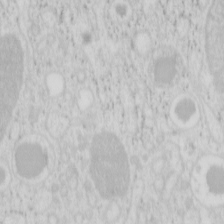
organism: Mouse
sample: Pancreas